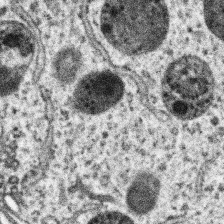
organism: Human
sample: HeLa cells